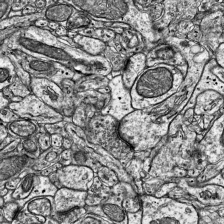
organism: Mouse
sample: Visual Cortex